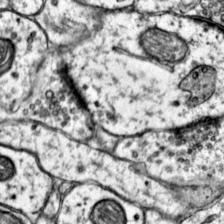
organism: Mouse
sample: Primary visual cortex